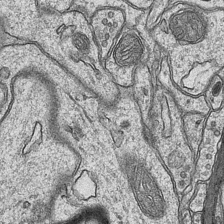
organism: Mouse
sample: CA1 Hippocampus